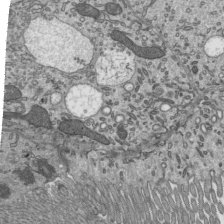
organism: Mouse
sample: Mouse epididymis efferent ductule cilia